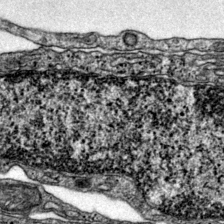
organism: Mouse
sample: Primary visual cortex